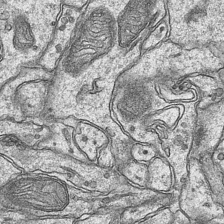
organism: Mouse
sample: CA1 Hippocampus